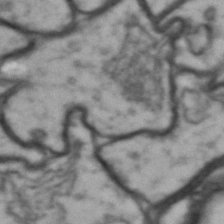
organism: Drosophila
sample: Brain